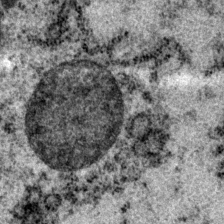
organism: P. pacificus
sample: Pharynx